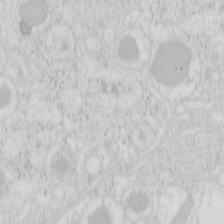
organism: Mouse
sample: Pancreas